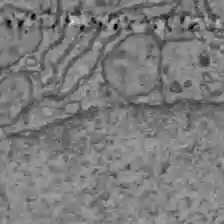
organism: C57BL Mouse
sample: Liver